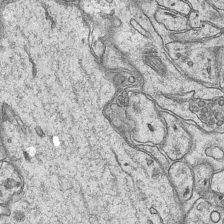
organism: Mouse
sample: CA1 Hippocampus